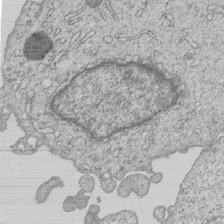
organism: Human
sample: MDA-MB-231 cells